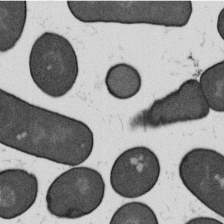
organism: B. subtilis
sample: Bacterial spore